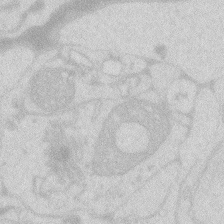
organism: Zebrafish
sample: Macrophage